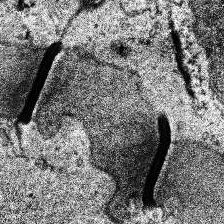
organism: Human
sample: Temporal Lobe